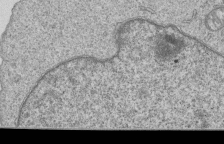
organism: Human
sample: MDA-MB-231 cells